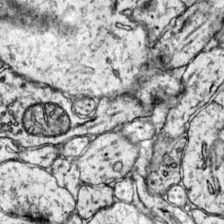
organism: Mouse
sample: Primary visual cortex